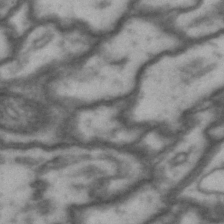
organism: Drosophila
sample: Brain